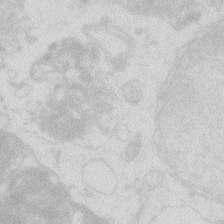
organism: Zebrafish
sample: Macrophage